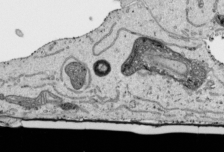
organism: Human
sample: Mitochondria in HCT116 cells